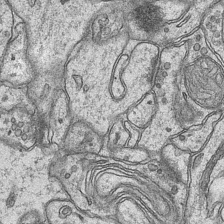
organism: Mouse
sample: CA1 Hippocampus